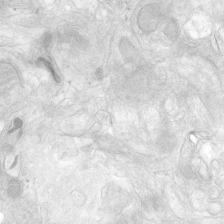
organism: Human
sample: Neocortex